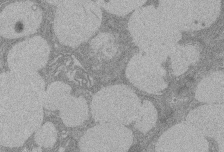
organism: Rat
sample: Salivary granule